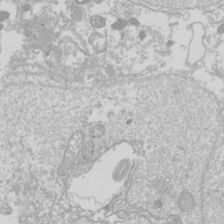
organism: Drosophila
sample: Cell division; meiosis; drosophila spermatocytes